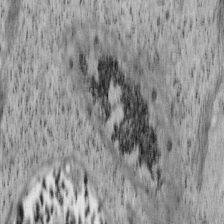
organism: Human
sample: HeLa cells